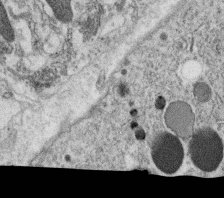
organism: C. elegans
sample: C. elegans oocyte; sperm cells